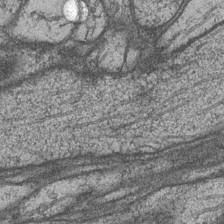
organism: Drosophila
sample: Optic medulla